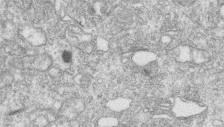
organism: Human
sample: HeLa cell HIV synapse